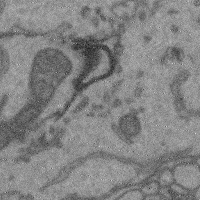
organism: Mouse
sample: Cerebral cortex